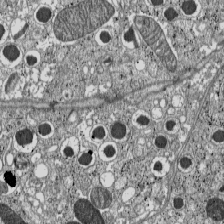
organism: C57BL Mouse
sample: Pancreatic islet